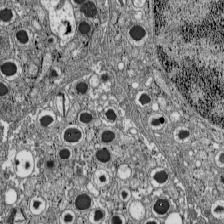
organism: C57BL Mouse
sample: Pancreatic islet